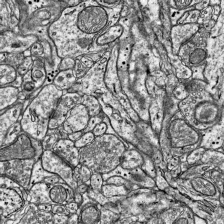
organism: Mouse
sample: Visual Cortex